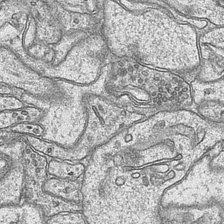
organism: Mouse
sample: CA1 Hippocampus